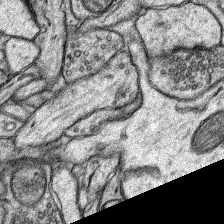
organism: Rat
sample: Hippocampus